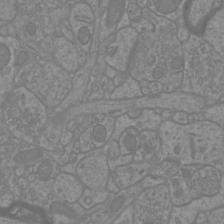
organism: Mouse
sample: Cortical neurons